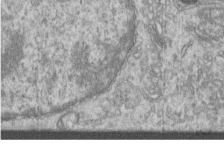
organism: Human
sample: Centriole in RPE cells